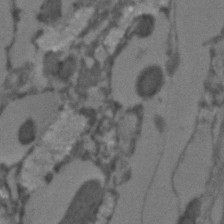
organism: C. elegans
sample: C. elegans embryo